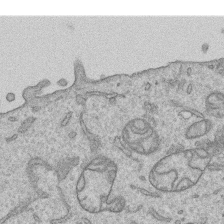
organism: Human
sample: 1205lu cells